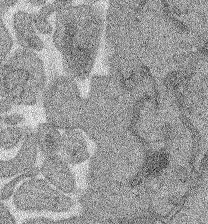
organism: Human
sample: HeLa cells